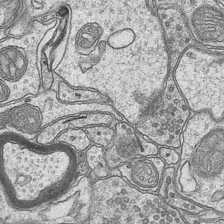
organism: Mouse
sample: CA1 Hippocampus